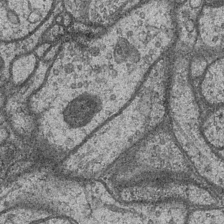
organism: Drosophila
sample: Optic medulla